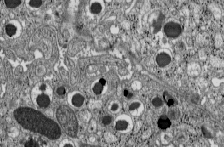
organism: C57BL Mouse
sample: Pancreatic islet